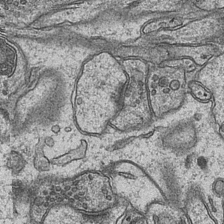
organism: Mouse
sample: CA1 Hippocampus